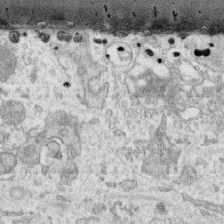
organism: Human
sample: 1205lu cells